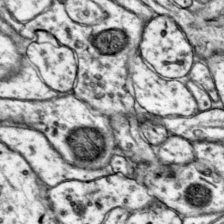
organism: Mouse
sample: Primary visual cortex